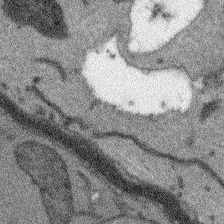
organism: Arabidopsis thaliana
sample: Root tip